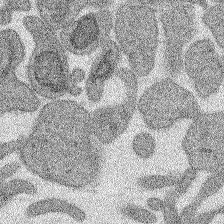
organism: Human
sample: HeLa cells